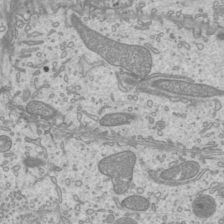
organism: Mouse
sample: Cilia; mouse epididymis